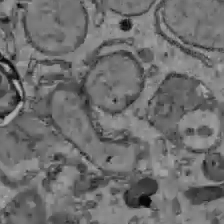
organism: C57BL Mouse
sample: Liver